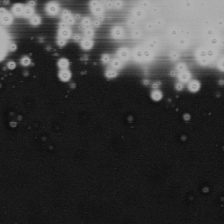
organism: Mouse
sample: Cancer cell death in ED-1 cells